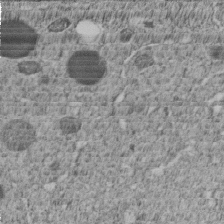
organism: C. elegans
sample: C. elegans embryo early stage